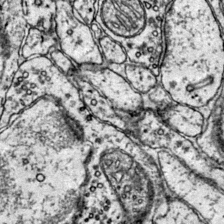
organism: Mouse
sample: Primary visual cortex